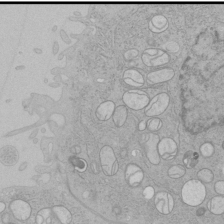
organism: Human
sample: Mitochondria in HCT116 cells